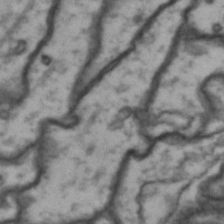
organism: Drosophila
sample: Brain